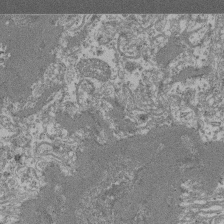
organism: Mouse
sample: Glomerulus